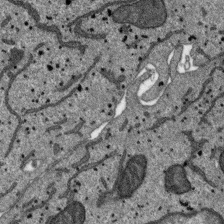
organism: Human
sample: Lung epithelial cells, uninfected (mock) control